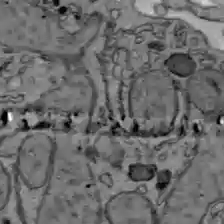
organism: C57BL Mouse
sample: Liver